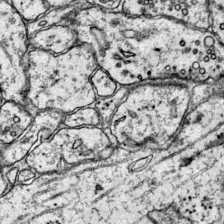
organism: Mouse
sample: Primary visual cortex